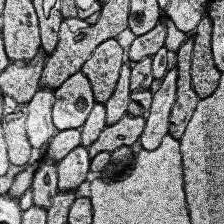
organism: Human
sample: Temporal Lobe